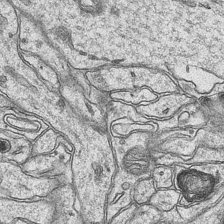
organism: Mouse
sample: CA1 Hippocampus